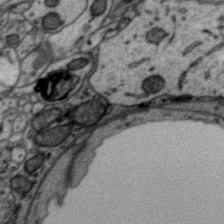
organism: Zebra finch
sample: Brain